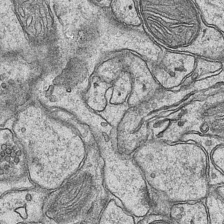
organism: Mouse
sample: CA1 Hippocampus